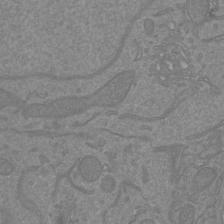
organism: Mouse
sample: Cortical neurons